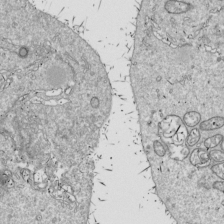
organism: Drosophila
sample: Cell division; meiosis; drosophila spermatocytes